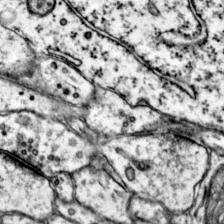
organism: Mouse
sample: Primary visual cortex